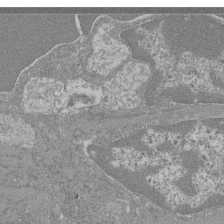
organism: Mouse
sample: Glomerulus